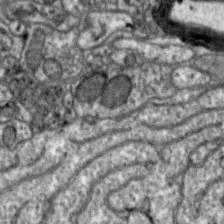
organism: Zebra finch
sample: Brain